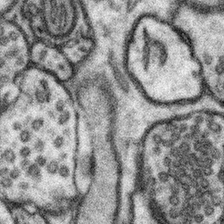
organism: Mouse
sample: Somatosensory cortex neuropil